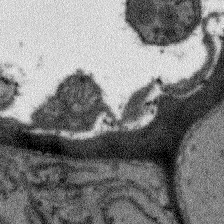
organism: Arabidopsis thaliana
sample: Root tip